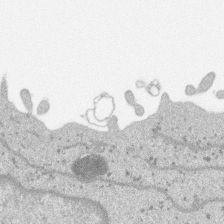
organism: Human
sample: Lung epithelial cells infected with SARS-CoV-2